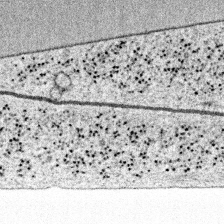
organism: Human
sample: HeLa cells